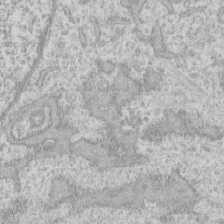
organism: Human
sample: CRL-1474